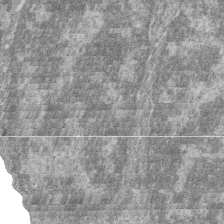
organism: Zebrafish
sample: Cilia; retinal pigment epithelium